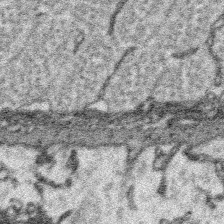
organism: Platynereis dumerilii